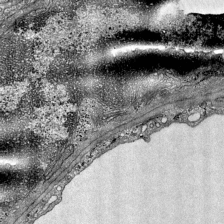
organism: Mouse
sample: Visual Cortex